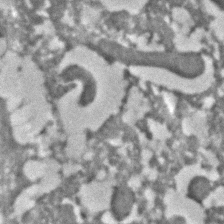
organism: C. elegans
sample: C. elegans embryo